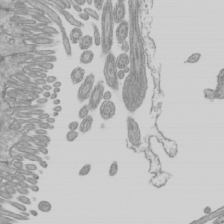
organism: Mouse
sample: Cilia; mouse epididymis